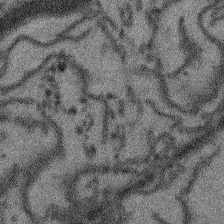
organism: Arabidopsis thaliana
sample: Root tip